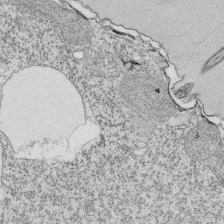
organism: Tetrahymena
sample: Cilia in tetrahymena